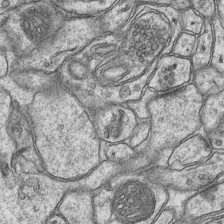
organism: Mouse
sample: CA1 Hippocampus